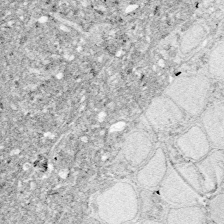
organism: Zebrafish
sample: Whole-Brain